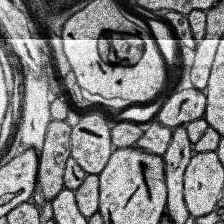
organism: Human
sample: Temporal Lobe